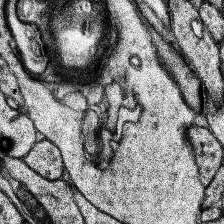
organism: Human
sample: Temporal Lobe